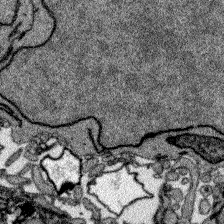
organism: Zebrafish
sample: Larval olfactory bulb